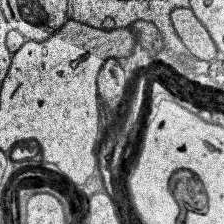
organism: Human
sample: Temporal Lobe